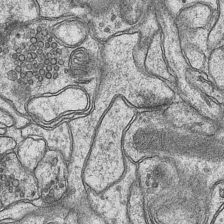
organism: Mouse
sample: CA1 Hippocampus